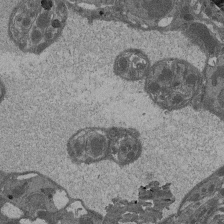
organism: Drosophila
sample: Antenna